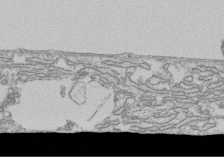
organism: Human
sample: Fibroblast cells